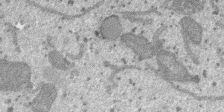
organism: Human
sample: Lung epithelial cells infected with SARS-CoV-2